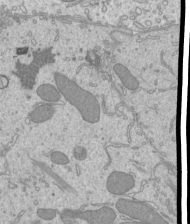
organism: Mouse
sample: Cilia; mouse epididymis